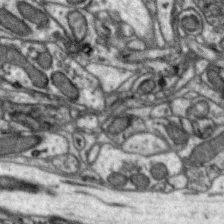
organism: Zebra finch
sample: Brain